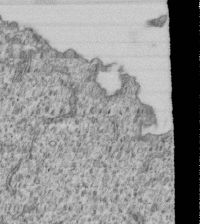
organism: Human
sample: MDA-MB-231 cells